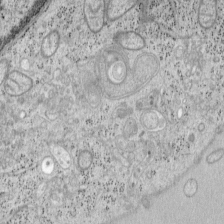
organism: Mouse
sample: OT-I killer T cells with ID8 ovarian cancer cells